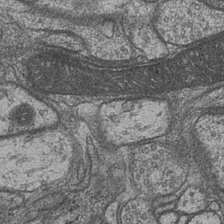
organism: Drosophila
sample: Optic medulla